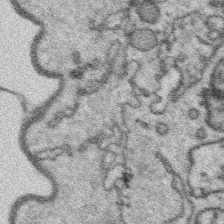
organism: Platynereis dumerilii